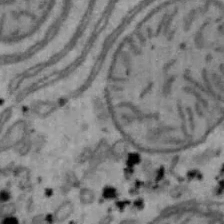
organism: Mouse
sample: Liver